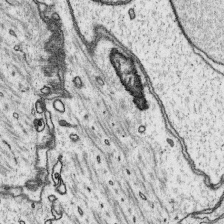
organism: Platynereis dumerilii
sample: Parapodia